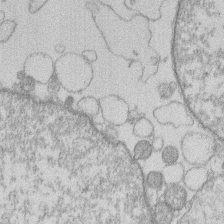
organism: Human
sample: Macrophage cells